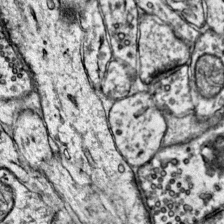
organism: Mouse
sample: Primary visual cortex